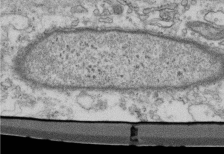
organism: Mouse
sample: Cilia; retinal pigment epithelium